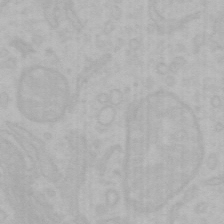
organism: Mouse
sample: Choroid plexus